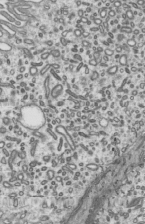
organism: Mouse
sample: Mouse epididymis efferent ductule cilia